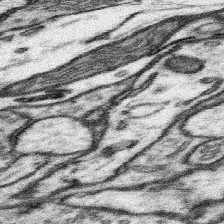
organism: Mouse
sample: Somatosensory cortex neuropil